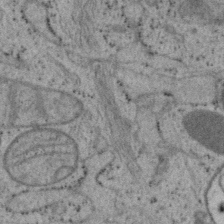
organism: Human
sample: HeLa cells